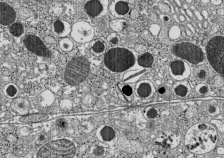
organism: C57BL Mouse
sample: Pancreatic islet